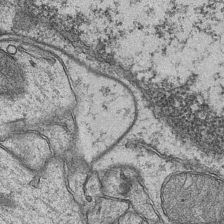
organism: Mouse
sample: CA1 Hippocampus